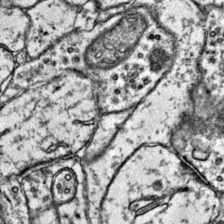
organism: Mouse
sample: Primary visual cortex